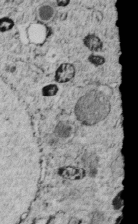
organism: C. elegans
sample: C. elegans embryo early stage